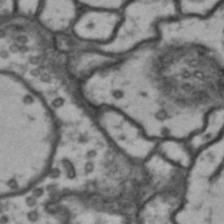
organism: Drosophila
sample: Brain